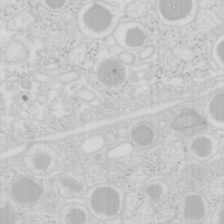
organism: Mouse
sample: Pancreas